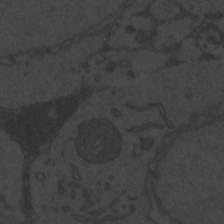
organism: Zebrafish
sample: Macrophage infected with Toxoplasma gondii